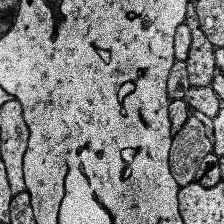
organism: Human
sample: Temporal Lobe